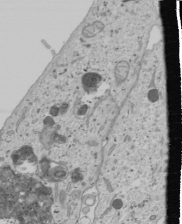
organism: Human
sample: Mitochondria in U2OS cells